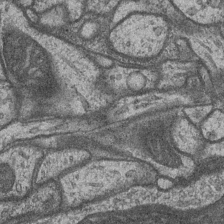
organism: Drosophila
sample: Optic medulla